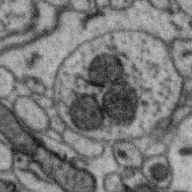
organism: Zebra finch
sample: Brain